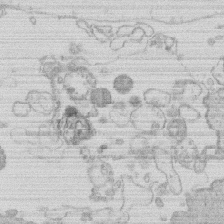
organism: Human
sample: Macrophage cells